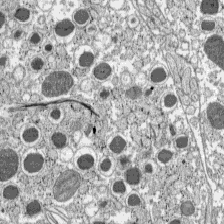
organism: C57BL Mouse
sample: Pancreatic islet